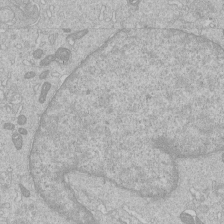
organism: Human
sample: Macrophage cells